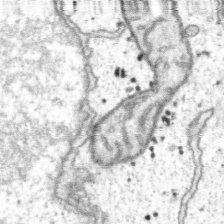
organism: Human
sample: HeLa cells